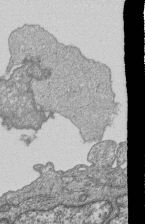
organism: Human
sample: MDA-MB-231 cells